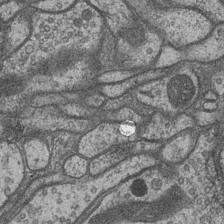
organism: Drosophila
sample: Optic medulla